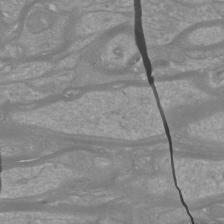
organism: Mouse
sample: Cortical neurons